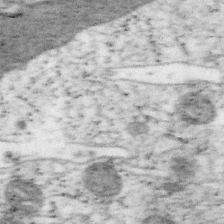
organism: Mouse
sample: OT-I killer T cells with ID8 ovarian cancer cells